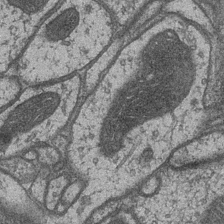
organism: Drosophila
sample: Optic medulla